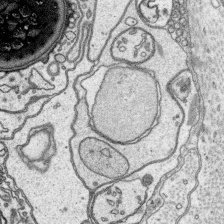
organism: Platynereis dumerilii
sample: Parapodia